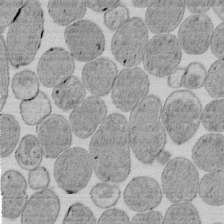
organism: E. coli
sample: Bacterial nucleoid